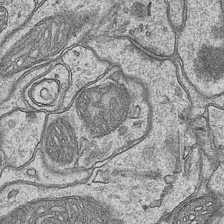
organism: Mouse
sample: CA1 Hippocampus